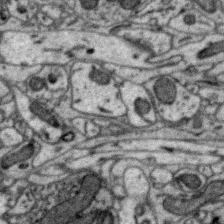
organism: Zebra finch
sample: Brain